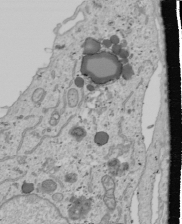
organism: Human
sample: Mitochondria in U2OS cells